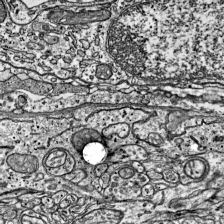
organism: Mouse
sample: Visual Cortex